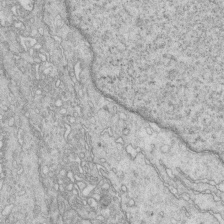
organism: Mouse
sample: Multiciliated cells